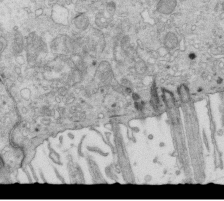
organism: Mouse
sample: Multiciliated cells